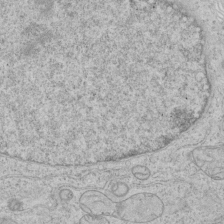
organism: Human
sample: Mitochondria in HCT116 cells